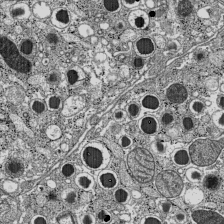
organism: C57BL Mouse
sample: Pancreatic islet